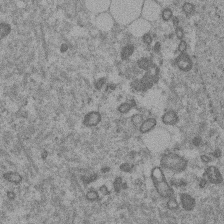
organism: Mouse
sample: Dividing mouse embryo 1 cell stage